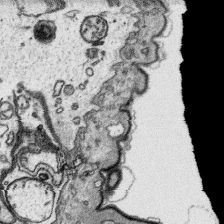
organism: Platynereis dumerilii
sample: Parapodia